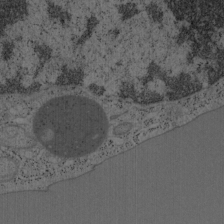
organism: Mouse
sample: OT-I killer T cells with ID8 ovarian cancer cells